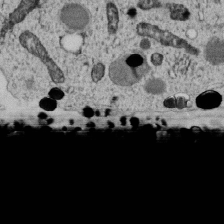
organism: C. elegans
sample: C. elegans embryo early stage